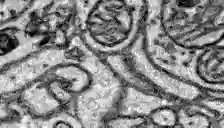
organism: Zebrafish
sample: Brain